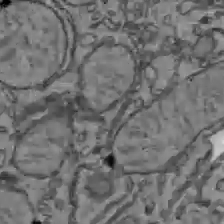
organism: C57BL Mouse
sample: Liver